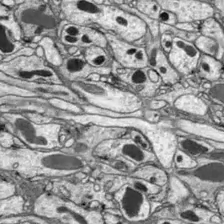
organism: Drosophila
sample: Optic lobe